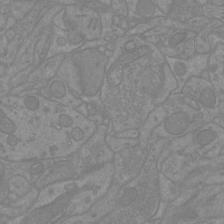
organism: Mouse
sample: Cortical neurons